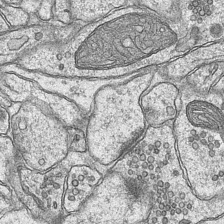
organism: Mouse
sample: CA1 Hippocampus